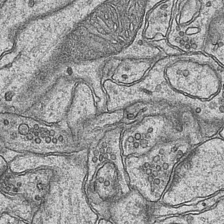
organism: Mouse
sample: CA1 Hippocampus